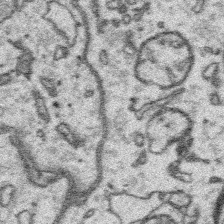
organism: Platynereis dumerilii